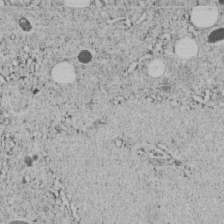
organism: C. elegans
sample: C. elegans embryo early stage